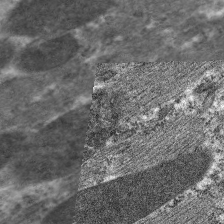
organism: C. elegans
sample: Pharynx